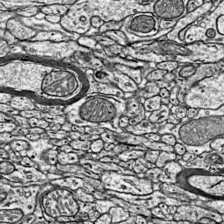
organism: Mouse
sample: Visual Cortex